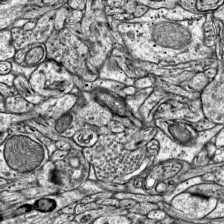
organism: Mouse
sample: Visual Cortex